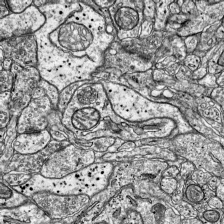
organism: Mouse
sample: Visual Cortex